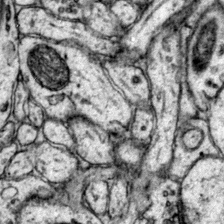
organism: Mouse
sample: Primary visual cortex